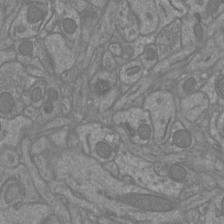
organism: Mouse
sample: Cortical neurons